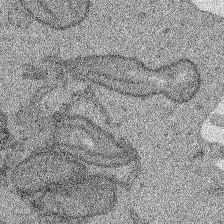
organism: Human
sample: HeLa cells